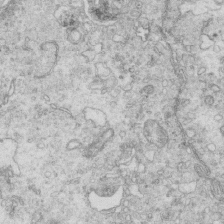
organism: Mouse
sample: Multiciliated cells